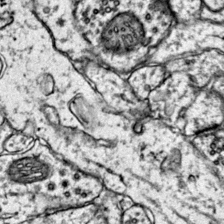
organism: Mouse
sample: Primary visual cortex